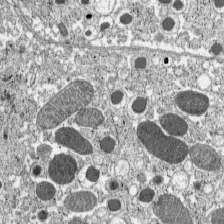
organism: C57BL Mouse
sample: Pancreatic islet